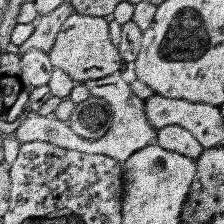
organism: Human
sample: Temporal Lobe